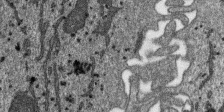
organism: Human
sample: Lung epithelial cells infected with SARS-CoV-2